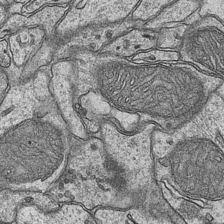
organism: Mouse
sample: CA1 Hippocampus